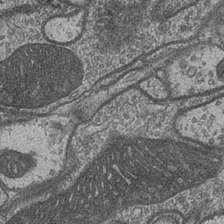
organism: Drosophila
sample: Optic medulla